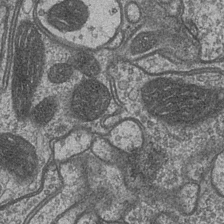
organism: Drosophila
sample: Optic medulla